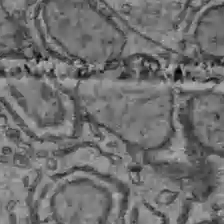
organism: C57BL Mouse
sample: Liver